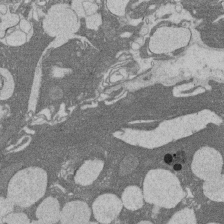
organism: Rat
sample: Salivary granule